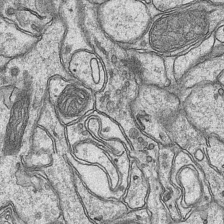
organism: Mouse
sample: CA1 Hippocampus